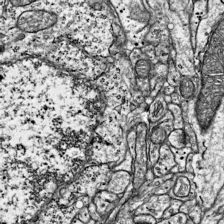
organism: Mouse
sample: Visual Cortex